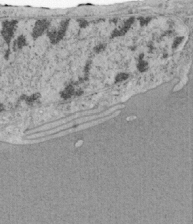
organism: Human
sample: HeLa cells